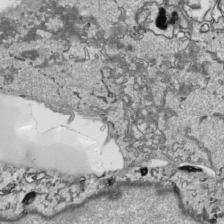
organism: Human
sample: Mitochondria in HCT116 cells